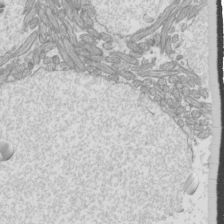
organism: Mouse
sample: Cilia; mouse epididymis